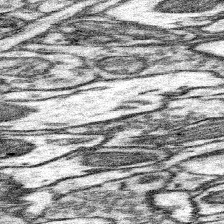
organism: Mouse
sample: Somatosensory cortex neuropil